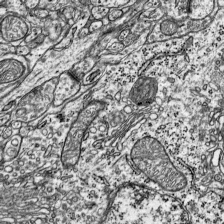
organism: Mouse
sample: Visual Cortex